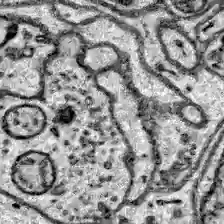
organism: Zebrafish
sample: Brain